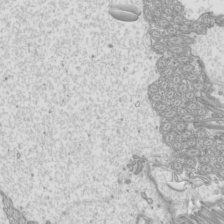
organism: Mouse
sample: Cilia; mouse epididymis